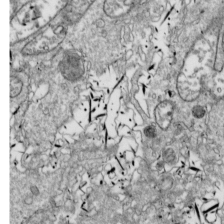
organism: Drosophila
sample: Cell division; meiosis; drosophila spermatocytes